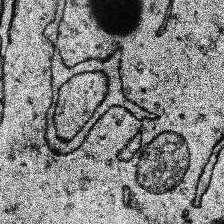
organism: Human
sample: Temporal Lobe